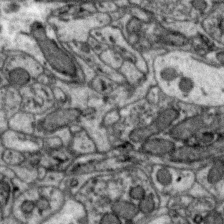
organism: Zebra finch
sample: Brain